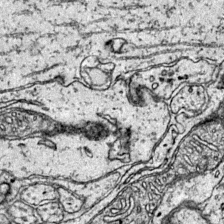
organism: Mouse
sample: Primary visual cortex